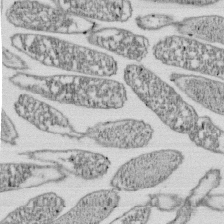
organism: E. coli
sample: Bacterial nucleoid